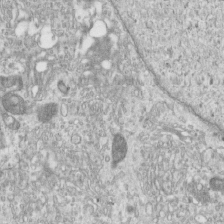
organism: Human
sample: Centriole in RPE cells